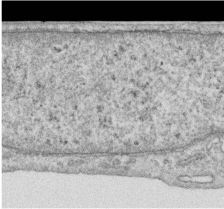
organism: Human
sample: Centriole in RPE cells